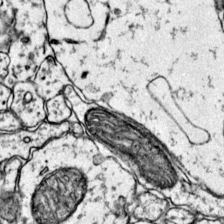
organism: Mouse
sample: Primary visual cortex